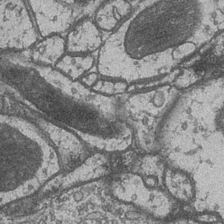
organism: Drosophila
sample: Optic medulla